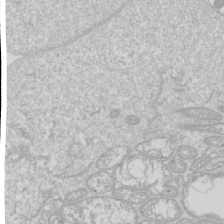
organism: Drosophila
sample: Cell division; meiosis; drosophila spermatocytes